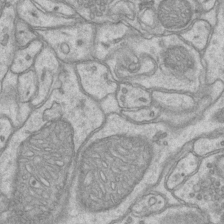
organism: Mouse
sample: CA1 Hippocampus